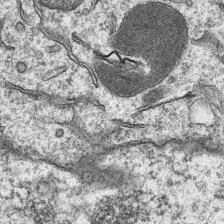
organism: Mouse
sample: CA1 Hippocampus